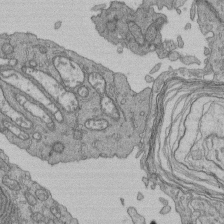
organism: Human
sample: Retinal organoid Rod and Cone cells